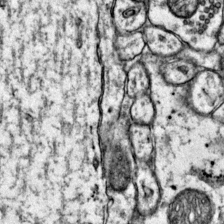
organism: Mouse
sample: Primary visual cortex